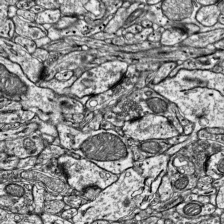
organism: Mouse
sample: Visual Cortex